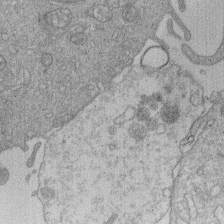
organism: Human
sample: Macrophage cells